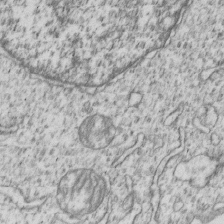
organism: Human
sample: MDA-MB-231 cells